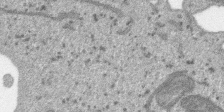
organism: Human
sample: Lung epithelial cells infected with SARS-CoV-2